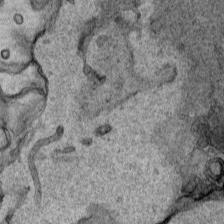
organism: Human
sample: Mitochondria in HCT116 cells